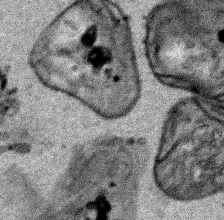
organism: Human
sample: Mitochondria in HCT116 cells